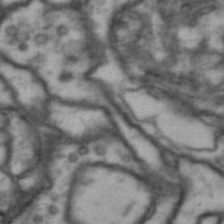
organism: Drosophila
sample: Brain